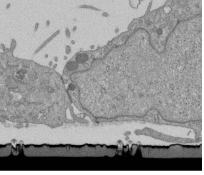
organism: Mouse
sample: ED-1 cell nuclei; centrioles